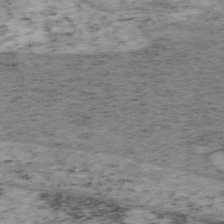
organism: Mouse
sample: OT-I killer T cells with ID8 ovarian cancer cells